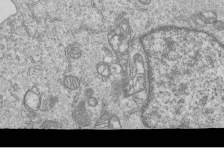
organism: Human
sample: MDA-MB-231 cells